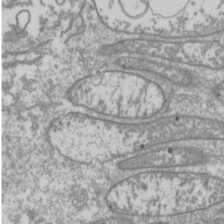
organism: Drosophila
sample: Cell division; meiosis; drosophila spermatocytes